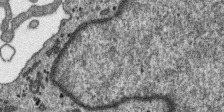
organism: Human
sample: Lung epithelial cells infected with SARS-CoV-2